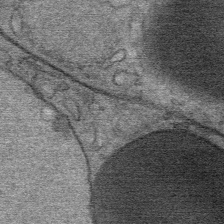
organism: Mouse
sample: Mouse Salivary gland